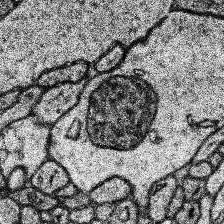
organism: Human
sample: Temporal Lobe